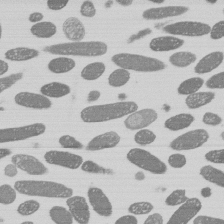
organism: E. coli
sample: Bacterial nucleoid